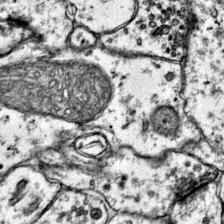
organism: Mouse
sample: Primary visual cortex